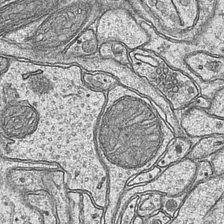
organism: Mouse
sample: CA1 Hippocampus